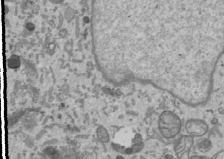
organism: Human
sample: Mitochondria in U2OS cells